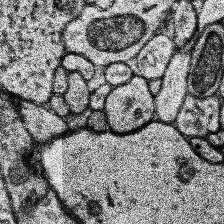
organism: Human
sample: Temporal Lobe